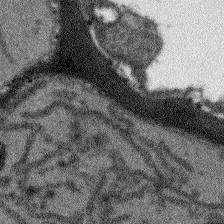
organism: Arabidopsis thaliana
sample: Root tip